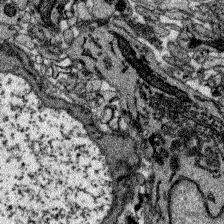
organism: Zebrafish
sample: Larval olfactory bulb